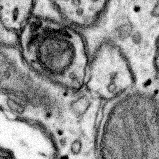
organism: Mouse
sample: Somatosensory cortex neuropil